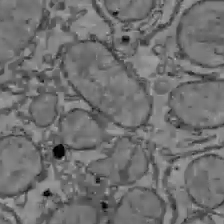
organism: C57BL Mouse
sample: Liver